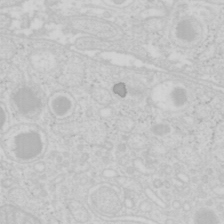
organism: Mouse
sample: Pancreas